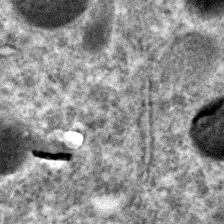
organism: C. elegans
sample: C. elegans embryo